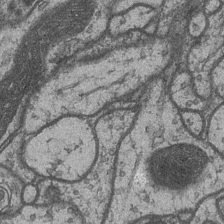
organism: Drosophila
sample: Optic medulla